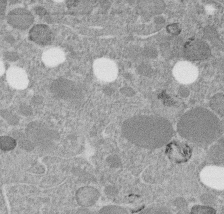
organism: C. elegans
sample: C. elegans embryo early stage